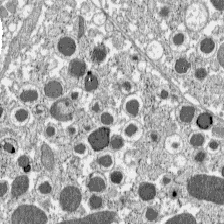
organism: C57BL Mouse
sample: Pancreatic islet